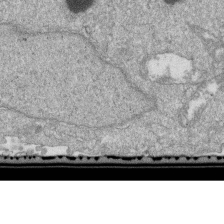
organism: Human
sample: HeLa cell HIV synapse